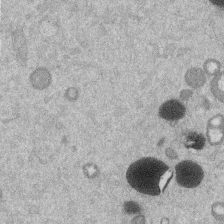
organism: Mouse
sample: Dividing mouse embryo 1 cell stage